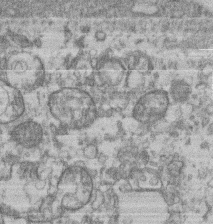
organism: Mouse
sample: T cell stromal cell synapse